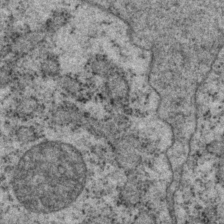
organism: P. pacificus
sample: Pharynx